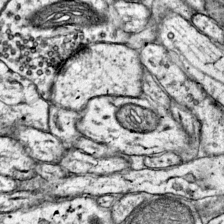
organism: Mouse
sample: Primary visual cortex